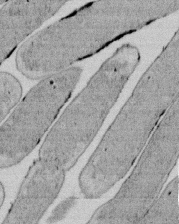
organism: E. coli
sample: Bacterial nucleoid